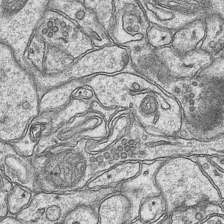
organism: Mouse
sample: CA1 Hippocampus